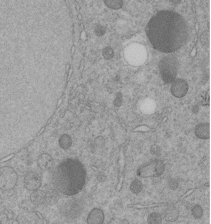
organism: C. elegans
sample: C. elegans embryo early stage